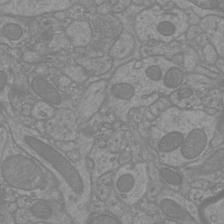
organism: Mouse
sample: Cortical neurons